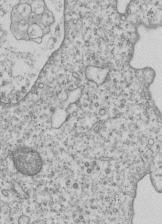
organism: Human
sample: MDA-MB-231 cells